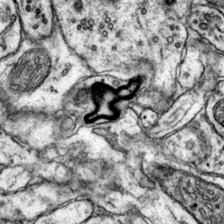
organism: Mouse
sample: Primary visual cortex